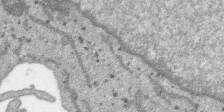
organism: Human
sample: Lung epithelial cells infected with SARS-CoV-2